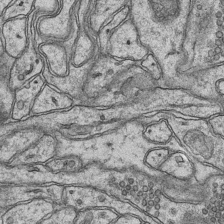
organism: Mouse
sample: CA1 Hippocampus